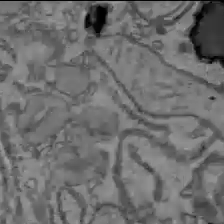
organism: C57BL Mouse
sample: Liver